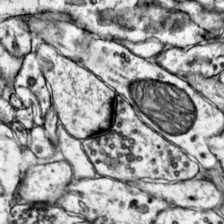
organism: Mouse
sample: Primary visual cortex